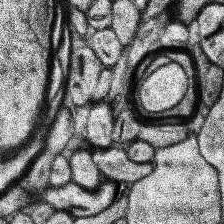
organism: Human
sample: Temporal Lobe